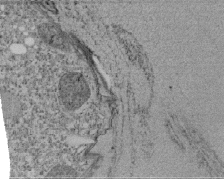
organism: Tetrahymena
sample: Cilia in tetrahymena